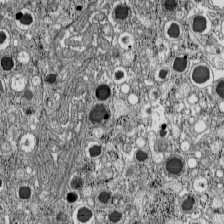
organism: C57BL Mouse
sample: Pancreatic islet